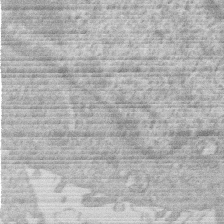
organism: Human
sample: Macrophage cells